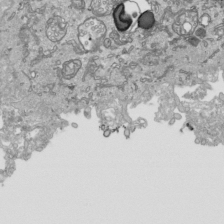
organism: Human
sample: Mitochondria in HCT116 cells